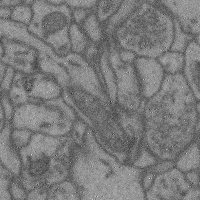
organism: Mouse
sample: Cerebral cortex